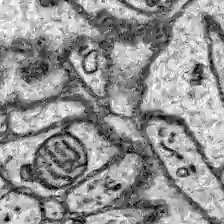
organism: Zebrafish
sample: Brain